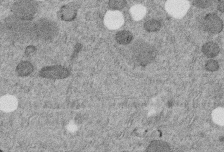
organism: C. elegans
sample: C. elegans embryo early stage